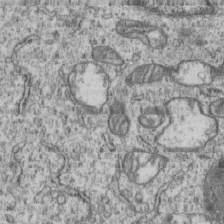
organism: Human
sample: MDA-MB-231 cells